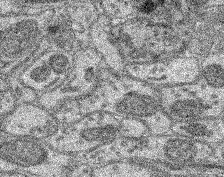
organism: Mouse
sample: Retina